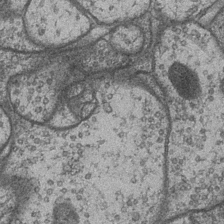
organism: Drosophila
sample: Optic medulla